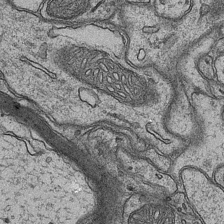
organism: Mouse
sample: CA1 Hippocampus